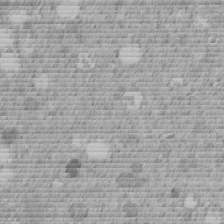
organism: C. elegans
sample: C. elegans embryo early stage